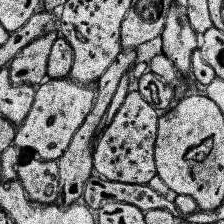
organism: Human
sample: Temporal Lobe